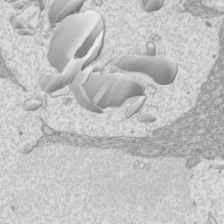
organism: Mouse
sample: Cilia; mouse epididymis